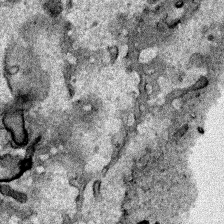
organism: Human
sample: Mitochondria in HCT116 cells